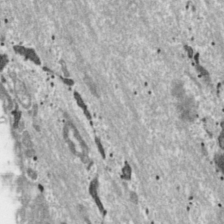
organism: Toxoplasma gondii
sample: Parasites in a vacuole inside a host cell